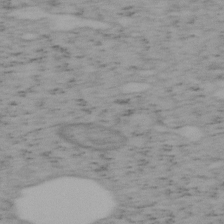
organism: Mouse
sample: OT-I killer T cells with ID8 ovarian cancer cells